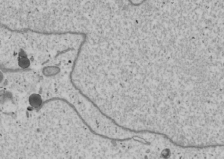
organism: Human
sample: Mitochondria in U2OS cells